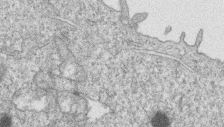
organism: Human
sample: HeLa cell HIV synapse